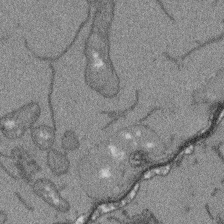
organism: Arabidopsis thaliana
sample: Root tip